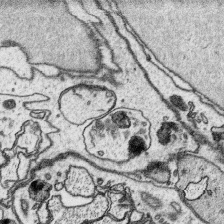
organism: Platynereis dumerilii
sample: Parapodia